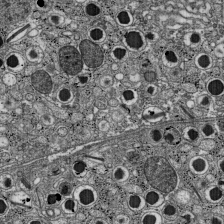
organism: C57BL Mouse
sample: Pancreatic islet